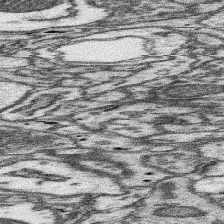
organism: Mouse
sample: Somatosensory cortex neuropil